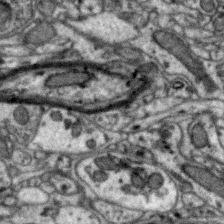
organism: Zebra finch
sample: Brain